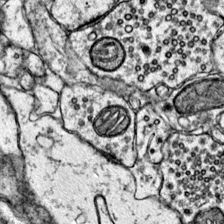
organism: Mouse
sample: Primary visual cortex